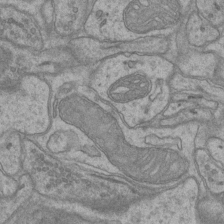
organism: Mouse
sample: CA1 Hippocampus